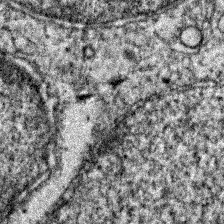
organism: Zebrafish